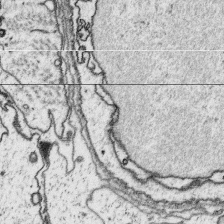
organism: Platynereis dumerilii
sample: Parapodia